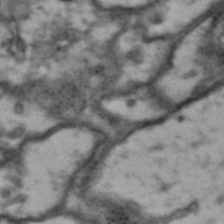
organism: Drosophila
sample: Brain